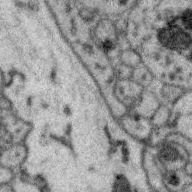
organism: Zebra finch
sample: Brain